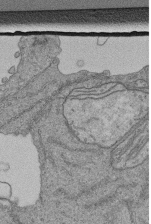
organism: Human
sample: Retinal organoid Rod and Cone cells